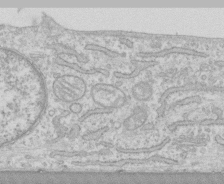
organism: Human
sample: CRL-1474